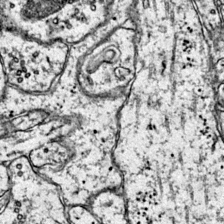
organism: Mouse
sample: Primary visual cortex